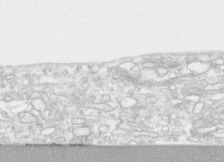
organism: Human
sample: CRL-1474